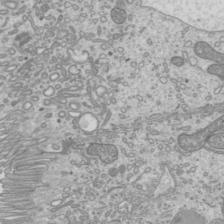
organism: Mouse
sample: Cilia; mouse epididymis